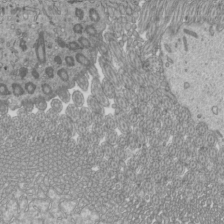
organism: Mouse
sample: Cilia; mouse epididymis